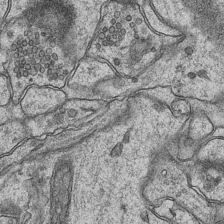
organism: Mouse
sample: CA1 Hippocampus